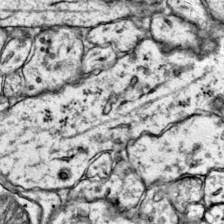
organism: Mouse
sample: Primary visual cortex